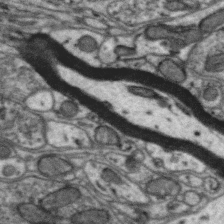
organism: Zebra finch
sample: Brain